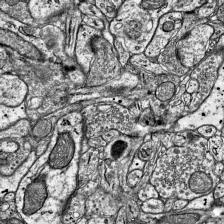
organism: Mouse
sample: Visual Cortex